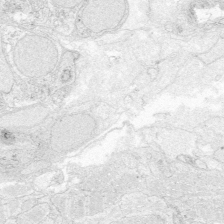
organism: Zebrafish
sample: Whole-Brain